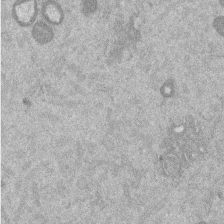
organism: Mouse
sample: Dividing mouse embryo 1 cell stage